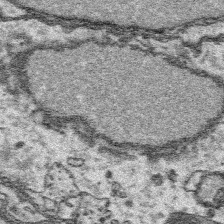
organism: Platynereis dumerilii